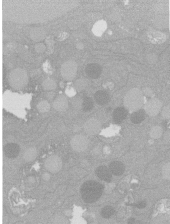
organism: C. elegans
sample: C. elegans oocyte; sperm cells